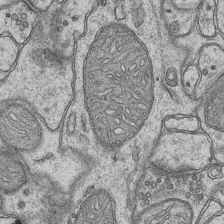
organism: Mouse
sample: CA1 Hippocampus